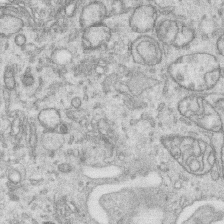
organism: Human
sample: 1205lu cells